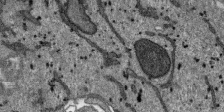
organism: Human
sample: Lung epithelial cells, uninfected (mock) control